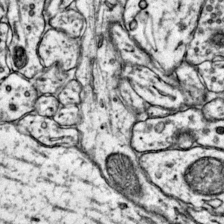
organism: Mouse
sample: Primary visual cortex